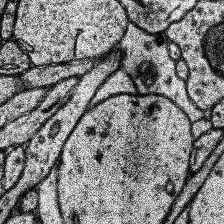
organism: Human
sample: Temporal Lobe